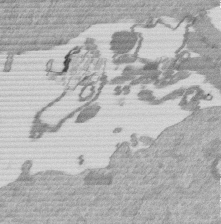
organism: Mouse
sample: Dividing mouse embryo 1 cell stage